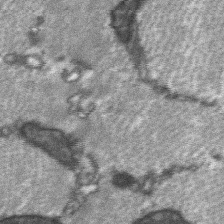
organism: C57BL Mouse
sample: Soleus